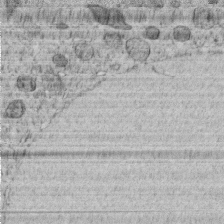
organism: C. elegans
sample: C. elegans embryo early stage